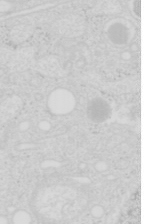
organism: Mouse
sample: Pancreas